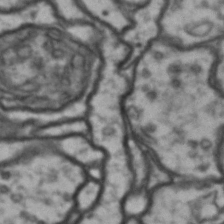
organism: Drosophila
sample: Brain